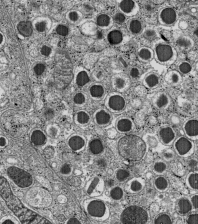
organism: C57BL Mouse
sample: Pancreatic islet